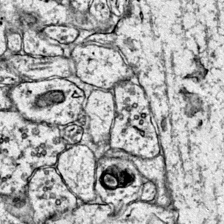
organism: Mouse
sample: Primary visual cortex